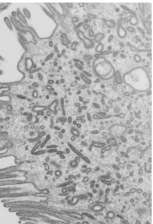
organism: Mouse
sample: Mouse epididymis efferent ductule cilia